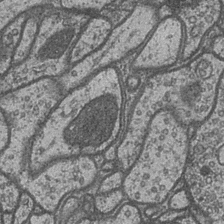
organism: Drosophila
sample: Optic medulla